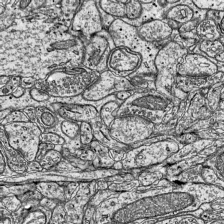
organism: Mouse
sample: Visual Cortex